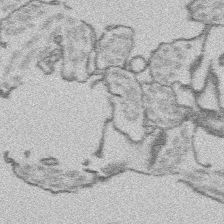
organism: Platynereis dumerilii